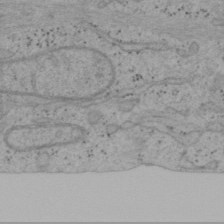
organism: Human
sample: HeLa cells